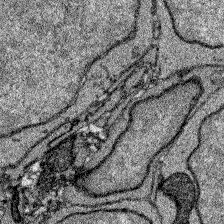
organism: Zebrafish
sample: Larval olfactory bulb